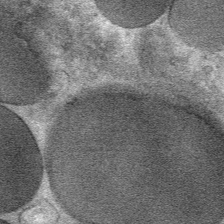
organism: Mouse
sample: Mouse Salivary gland